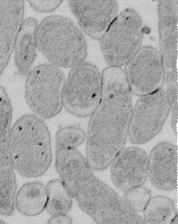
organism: E. coli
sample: Bacterial nucleoid